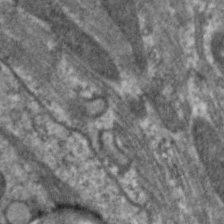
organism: C. elegans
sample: Pharynx